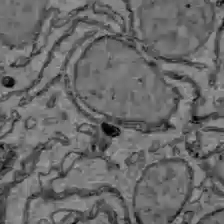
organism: C57BL Mouse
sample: Liver